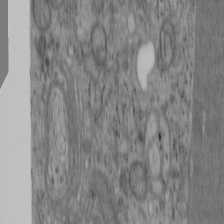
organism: Human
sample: HeLa cells